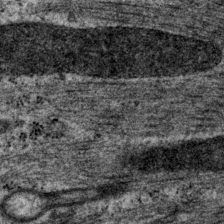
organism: P. pacificus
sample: Pharynx